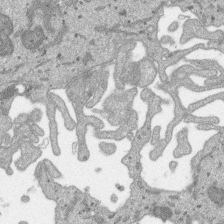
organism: Human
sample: Lung epithelial cells infected with SARS-CoV-2